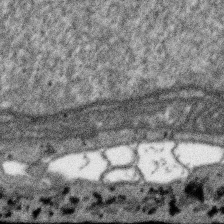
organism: Human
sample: Lung epithelial cells infected with SARS-CoV-2